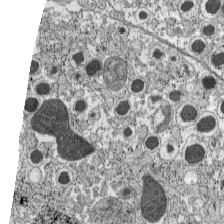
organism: C57BL Mouse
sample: Pancreatic islet